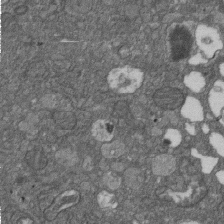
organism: Drosophila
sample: Nephrocyte